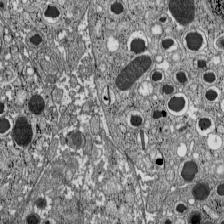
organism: C57BL Mouse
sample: Pancreatic islet